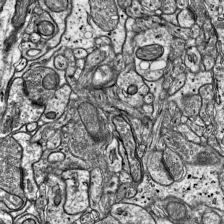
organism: Mouse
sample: Visual Cortex